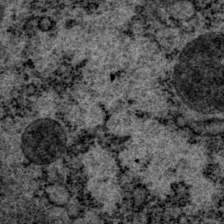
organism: P. pacificus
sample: Pharynx